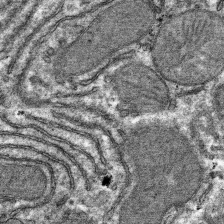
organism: Mouse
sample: Mouse hepatocytes